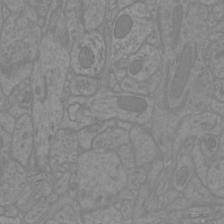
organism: Mouse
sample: Cortical neurons